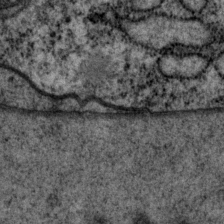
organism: P. pacificus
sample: Pharynx